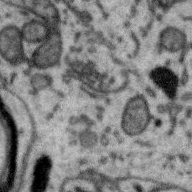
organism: Zebra finch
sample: Brain